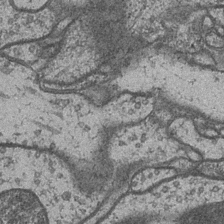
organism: Drosophila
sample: Optic medulla